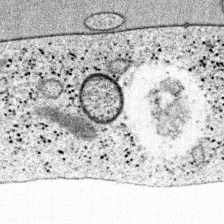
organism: Human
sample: HeLa cells